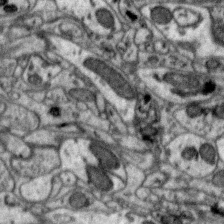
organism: Zebra finch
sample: Brain